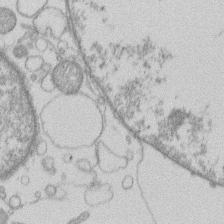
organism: Human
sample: Macrophage cells